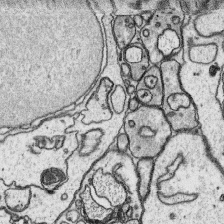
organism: Platynereis dumerilii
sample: Parapodia